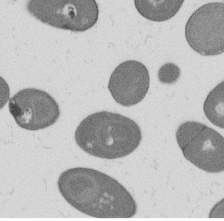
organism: B. subtilis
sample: Bacterial spore